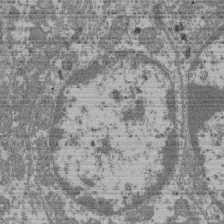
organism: Mouse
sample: Glomerulus